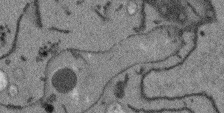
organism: Arabidopsis thaliana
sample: Root tip